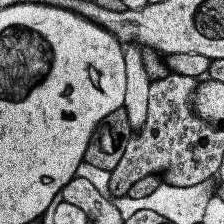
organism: Human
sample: Temporal Lobe